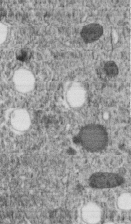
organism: C. elegans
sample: C. elegans embryo early stage